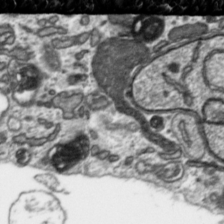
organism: Toxoplasma gondii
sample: Parasites in a vacuole inside a host cell